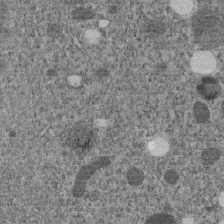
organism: C. elegans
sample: C. elegans embryo early stage